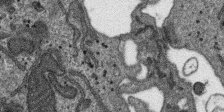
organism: Human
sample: Lung epithelial cells infected with SARS-CoV-2